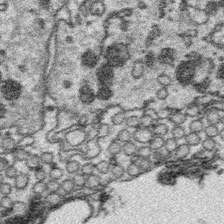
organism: Platynereis dumerilii